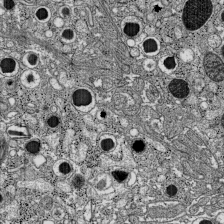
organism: C57BL Mouse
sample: Pancreatic islet